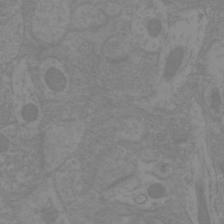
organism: Mouse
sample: Cortical neurons